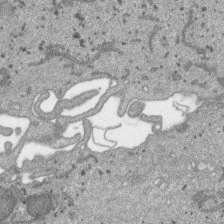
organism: Human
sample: Lung epithelial cells infected with SARS-CoV-2